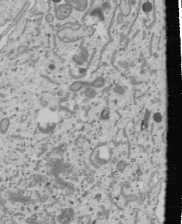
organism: Human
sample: Mitochondria in U2OS cells